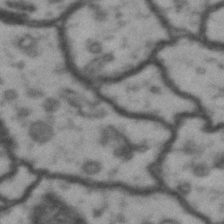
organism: Drosophila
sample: Brain